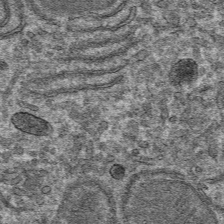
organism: Mouse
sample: Mouse hepatocytes